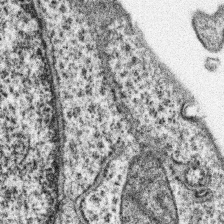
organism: Human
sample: HeLa cells